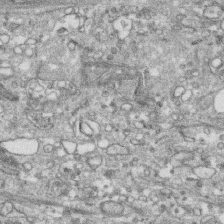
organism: Human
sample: CRL-1474